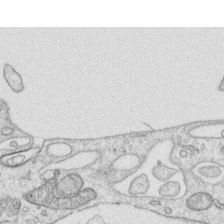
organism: Human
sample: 1205lu cells